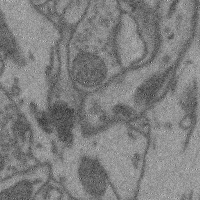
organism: Mouse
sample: Cerebral cortex